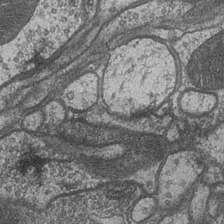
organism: Drosophila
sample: Optic medulla